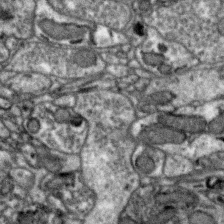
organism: Zebra finch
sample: Brain